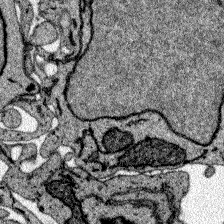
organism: Zebrafish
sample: Larval olfactory bulb